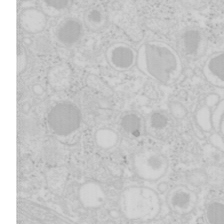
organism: Mouse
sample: Pancreas